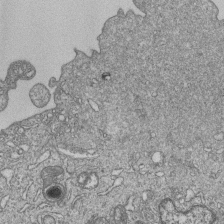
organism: Human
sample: MDA-MB-231 cells